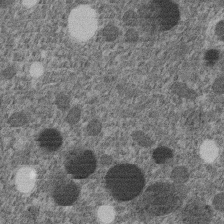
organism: C. elegans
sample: C. elegans embryo early stage